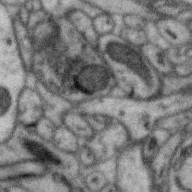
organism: Zebra finch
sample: Brain